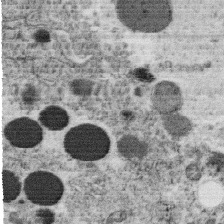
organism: C. elegans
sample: C. elegans oocyte; sperm cells